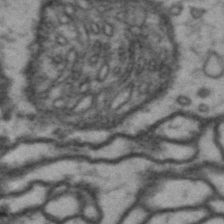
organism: Drosophila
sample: Brain